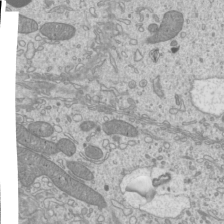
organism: Mouse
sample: Cilia; mouse epididymis